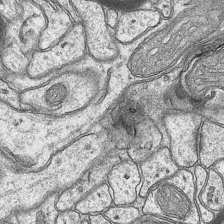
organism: Mouse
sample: CA1 Hippocampus